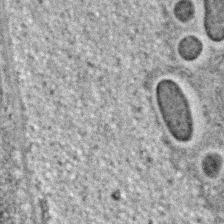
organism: C. elegans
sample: C. elegans embryo